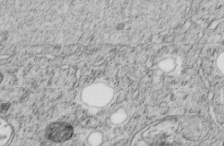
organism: C. elegans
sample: C. elegans embryo early stage